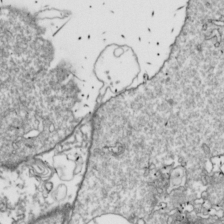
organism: Drosophila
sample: Cell division; meiosis; drosophila spermatocytes